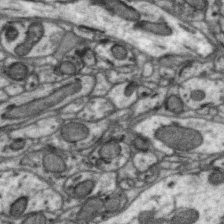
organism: Zebra finch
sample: Brain